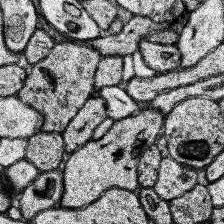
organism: Human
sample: Temporal Lobe